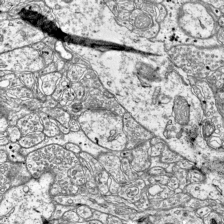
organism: Mouse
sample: Visual Cortex